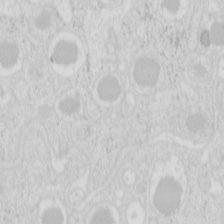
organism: Mouse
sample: Pancreas